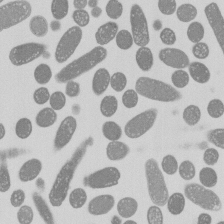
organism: E. coli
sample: Bacterial nucleoid